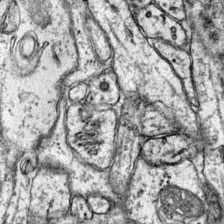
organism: Mouse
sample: Primary visual cortex